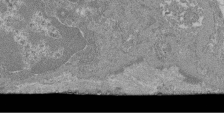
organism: Mouse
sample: Glomerulus